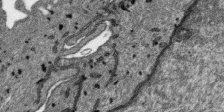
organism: Human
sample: Lung epithelial cells, uninfected (mock) control